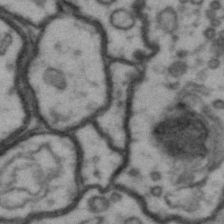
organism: Drosophila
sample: Brain